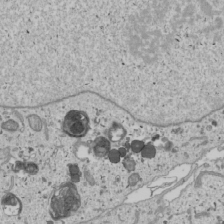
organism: Human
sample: Mitochondria in U2OS cells